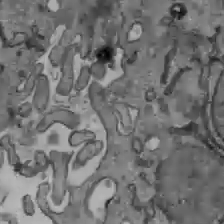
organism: C57BL Mouse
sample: Liver